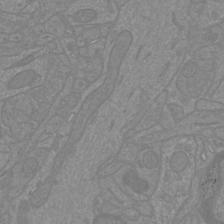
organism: Mouse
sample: Cortical neurons